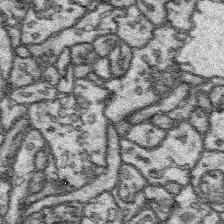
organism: Platynereis dumerilii